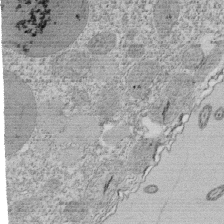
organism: Tetrahymena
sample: Cilia in tetrahymena